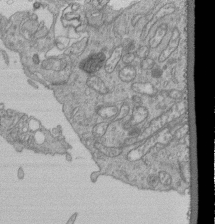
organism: Human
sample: Retinal organoid Rod and Cone cells